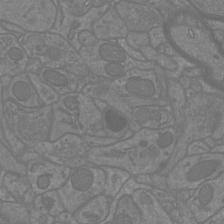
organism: Mouse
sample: Cortical neurons